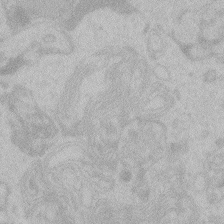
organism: Zebrafish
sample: Macrophage infected with Toxoplasma gondii